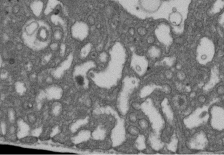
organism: Drosophila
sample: Nephrocyte